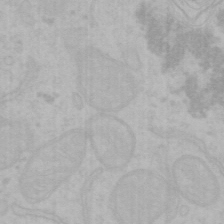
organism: Mouse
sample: Choroid plexus